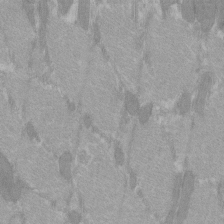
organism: C57BL Mouse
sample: Tibialis anterior muscle cell